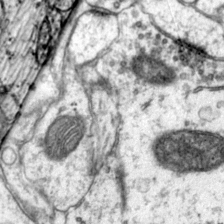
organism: Mouse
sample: Primary visual cortex